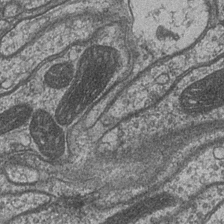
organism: Drosophila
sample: Optic medulla